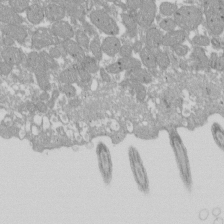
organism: Xenopus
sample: Cilia; centrioles in frog embryo cells